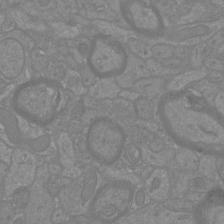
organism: Mouse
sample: Cortical neurons